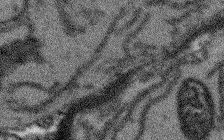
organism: Arabidopsis thaliana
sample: Root tip